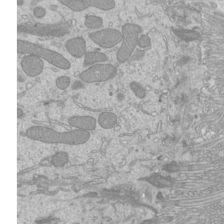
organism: Mouse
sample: Cilia; mouse epididymis